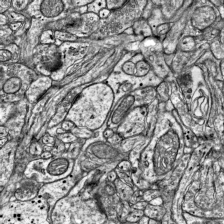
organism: Mouse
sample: Visual Cortex